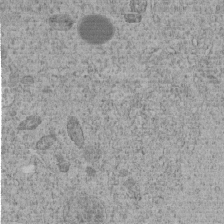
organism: C. elegans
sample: C. elegans embryo early stage